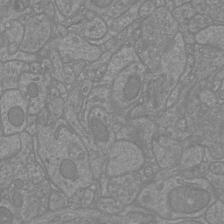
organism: Mouse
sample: Cortical neurons